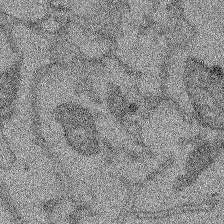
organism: Human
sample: HeLa cells